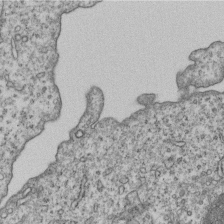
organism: Human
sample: MDA-MB-231 cells